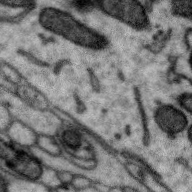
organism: Zebra finch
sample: Brain